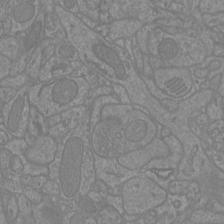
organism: Mouse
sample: Cortical neurons